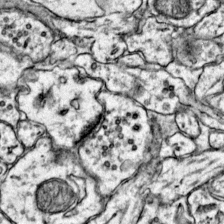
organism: Mouse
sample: Primary visual cortex